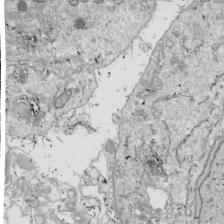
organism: Drosophila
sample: Cell division; meiosis; drosophila spermatocytes